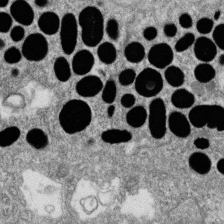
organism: Zebrafish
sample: Cilia; retinal pigment epithelium